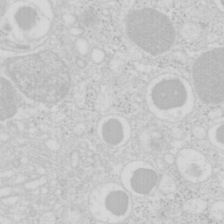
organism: Mouse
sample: Pancreas